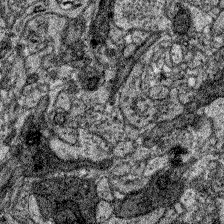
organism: Zebrafish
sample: Larval olfactory bulb